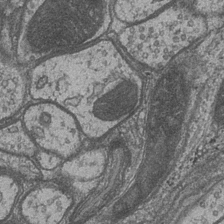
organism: Drosophila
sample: Optic medulla